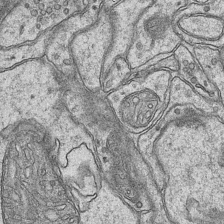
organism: Mouse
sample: CA1 Hippocampus